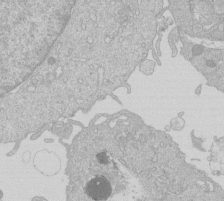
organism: Human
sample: Macrophage cells